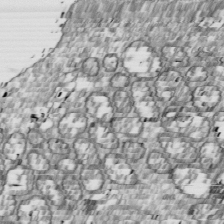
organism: Drosophila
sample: Cell division; meiosis; drosophila spermatocytes